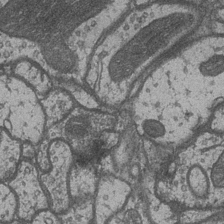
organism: Drosophila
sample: Optic medulla